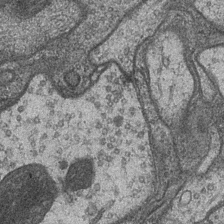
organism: Drosophila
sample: Optic medulla